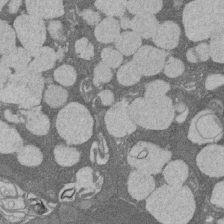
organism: Rat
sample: Salivary granule